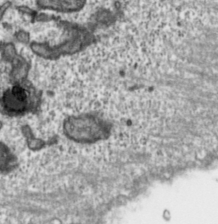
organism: Toxoplasma gondii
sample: Parasites in a vacuole inside a host cell